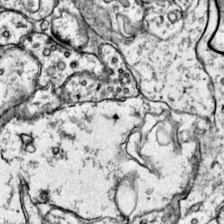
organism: Mouse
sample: Primary visual cortex